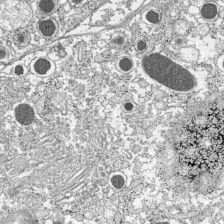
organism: C57BL Mouse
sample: Pancreatic islet